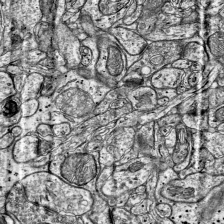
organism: Mouse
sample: Visual Cortex